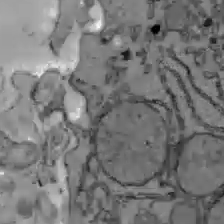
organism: C57BL Mouse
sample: Liver